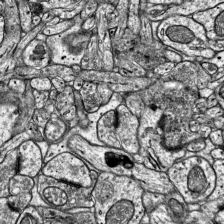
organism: Mouse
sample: Visual Cortex